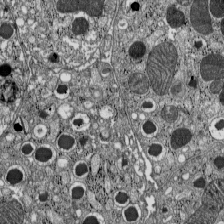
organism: C57BL Mouse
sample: Pancreatic islet